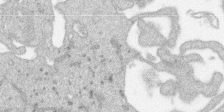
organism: Human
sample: Lung epithelial cells infected with SARS-CoV-2